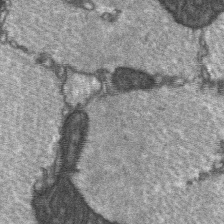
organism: C57BL Mouse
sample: Soleus